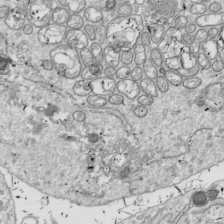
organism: Drosophila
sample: Cell division; meiosis; drosophila spermatocytes